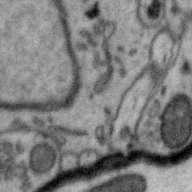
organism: Zebra finch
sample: Brain